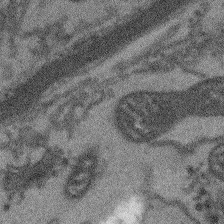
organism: Arabidopsis thaliana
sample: Root tip